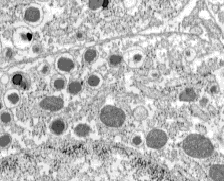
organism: C57BL Mouse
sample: Pancreatic islet